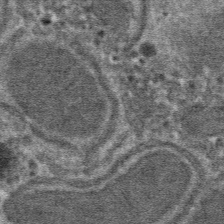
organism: Mouse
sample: Mouse hepatocytes